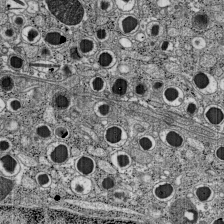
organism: C57BL Mouse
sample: Pancreatic islet